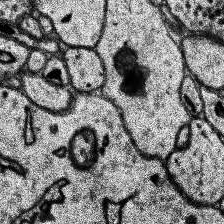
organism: Human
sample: Temporal Lobe